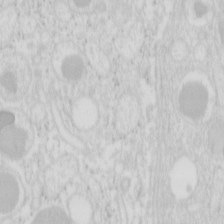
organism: Mouse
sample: Pancreas